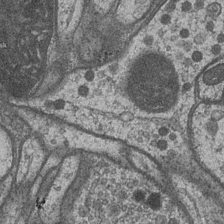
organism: Drosophila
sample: Optic medulla